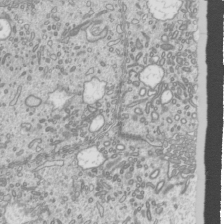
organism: Mouse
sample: Cilia; mouse epididymis